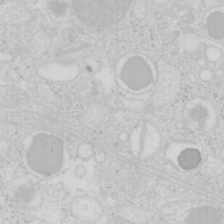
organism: Mouse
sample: Pancreas